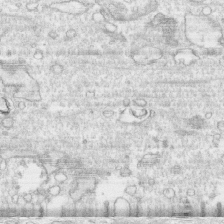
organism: Human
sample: CRL-1474